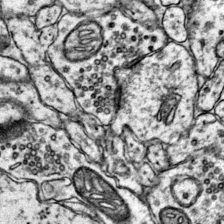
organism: Mouse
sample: Primary visual cortex